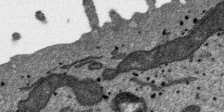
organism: Human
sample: Lung epithelial cells, uninfected (mock) control